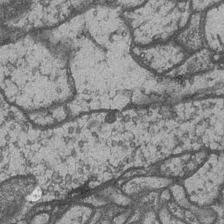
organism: Drosophila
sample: Optic medulla